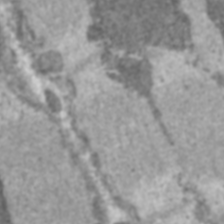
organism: C57BL Mouse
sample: Heart